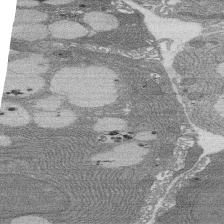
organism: Rat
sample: Salivary granule